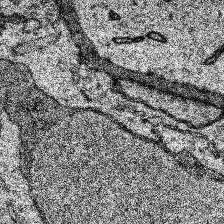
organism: Human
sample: Temporal Lobe